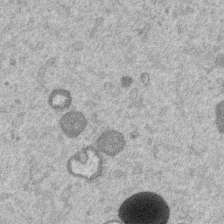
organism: Mouse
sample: Dividing mouse embryo 1 cell stage